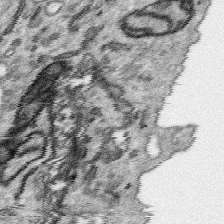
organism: Human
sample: HeLa cells